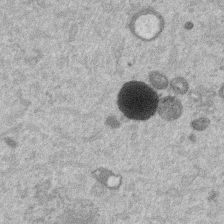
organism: Mouse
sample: Dividing mouse embryo 1 cell stage